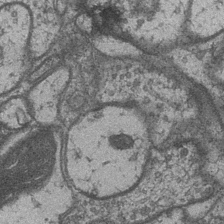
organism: Drosophila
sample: Optic medulla